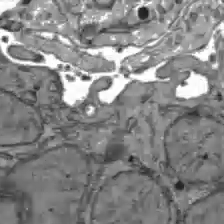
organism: C57BL Mouse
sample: Liver